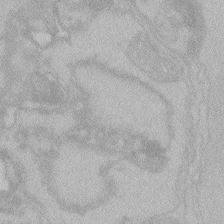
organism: Zebrafish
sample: Macrophage infected with Toxoplasma gondii